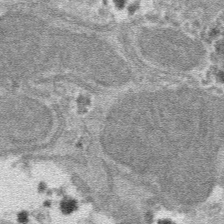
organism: Mouse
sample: Mouse hepatocytes